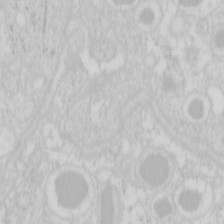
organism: Mouse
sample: Pancreas